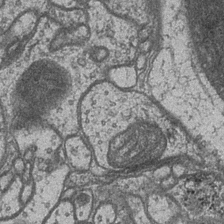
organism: Drosophila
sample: Optic medulla